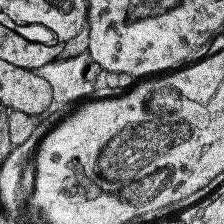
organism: Human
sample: Temporal Lobe